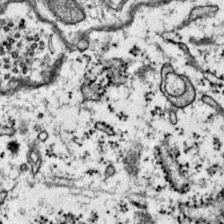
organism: Mouse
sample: Primary visual cortex